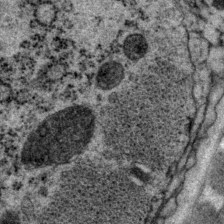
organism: P. pacificus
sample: Pharynx